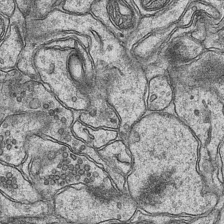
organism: Mouse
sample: CA1 Hippocampus